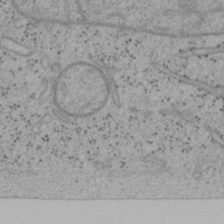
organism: Human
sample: HeLa cells